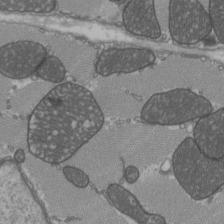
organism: C57BL Mouse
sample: Heart